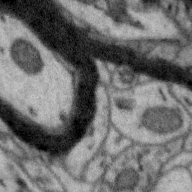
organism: Zebra finch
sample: Brain